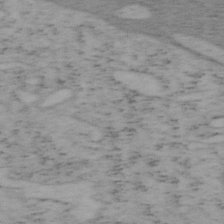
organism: Mouse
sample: OT-I killer T cells with ID8 ovarian cancer cells